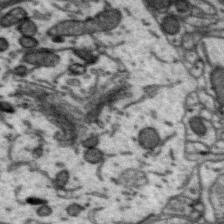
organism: Zebra finch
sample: Brain